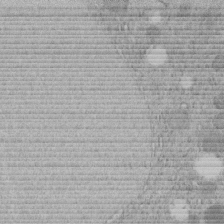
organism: C. elegans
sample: C. elegans embryo early stage